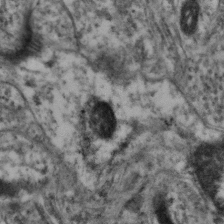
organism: Mouse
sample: Neocortex